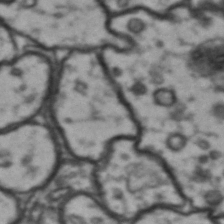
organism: Drosophila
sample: Brain